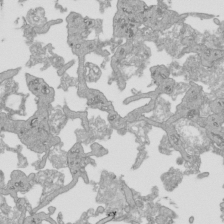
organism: Human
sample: Mitochondria in HCT116 cells